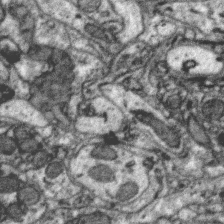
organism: Zebra finch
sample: Brain